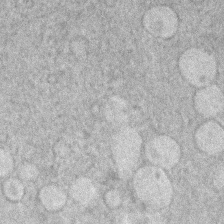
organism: Human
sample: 1205lu cells